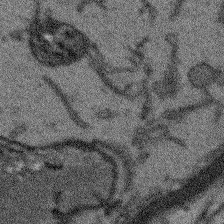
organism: Arabidopsis thaliana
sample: Root tip